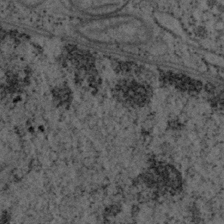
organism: Human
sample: HeLa cells